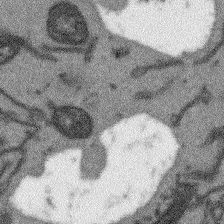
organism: Arabidopsis thaliana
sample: Root tip